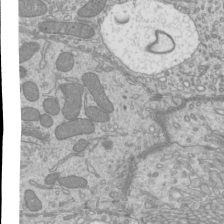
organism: Mouse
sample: Cilia; mouse epididymis